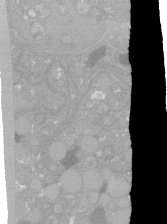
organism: C. elegans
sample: C. elegans oocyte; sperm cells